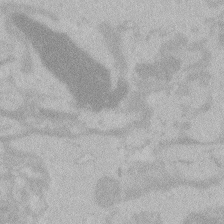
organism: Zebrafish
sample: Macrophage infected with Toxoplasma gondii